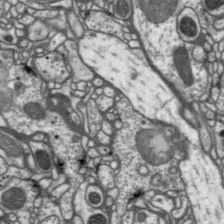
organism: Drosophila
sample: Protocerebral bridge